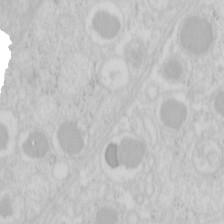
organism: Mouse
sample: Pancreas